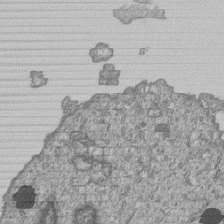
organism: Human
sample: MDA-MB-231 cells